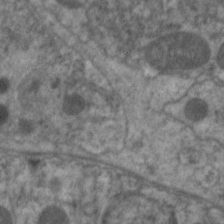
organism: C. elegans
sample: Pharynx